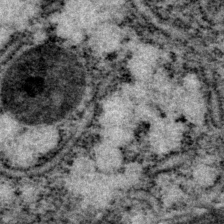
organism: P. pacificus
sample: Pharynx